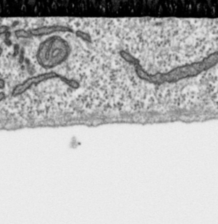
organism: Toxoplasma gondii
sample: Parasites in a vacuole inside a host cell